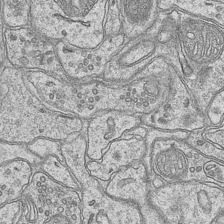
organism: Mouse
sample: CA1 Hippocampus